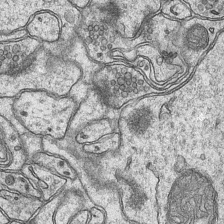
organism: Mouse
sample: CA1 Hippocampus